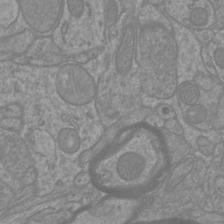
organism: Mouse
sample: Cortical neurons